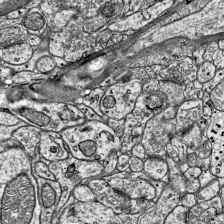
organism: Mouse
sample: Visual Cortex